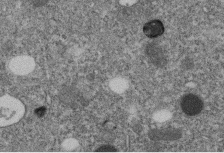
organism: C. elegans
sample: C. elegans embryo early stage